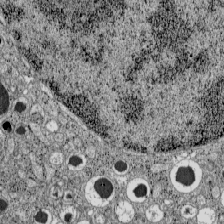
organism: C57BL Mouse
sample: Pancreatic islet